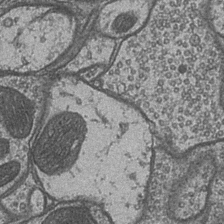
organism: Drosophila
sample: Optic medulla